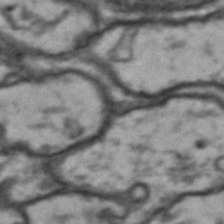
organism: Drosophila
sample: Brain